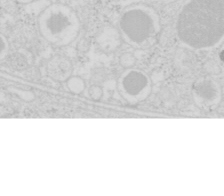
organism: Mouse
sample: Pancreas